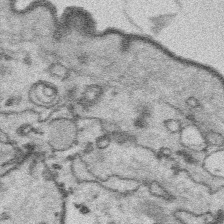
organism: Platynereis dumerilii